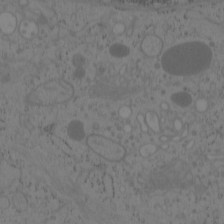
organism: Human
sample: HeLa cells